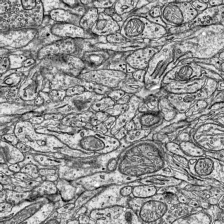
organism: Mouse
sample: Visual Cortex